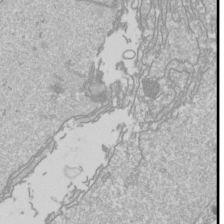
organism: Drosophila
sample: Cell division; meiosis; drosophila spermatocytes